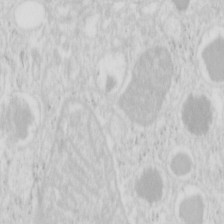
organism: Mouse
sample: Pancreas